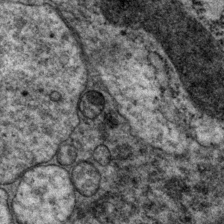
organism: P. pacificus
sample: Pharynx